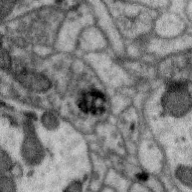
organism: Zebra finch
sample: Brain